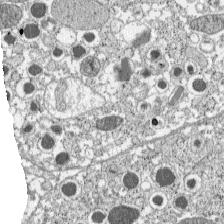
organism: C57BL Mouse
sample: Pancreatic islet